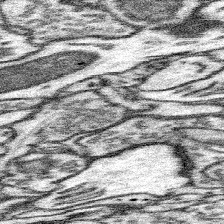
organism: Mouse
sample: Somatosensory cortex neuropil